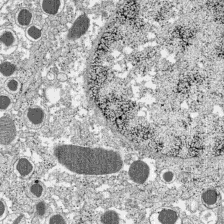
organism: C57BL Mouse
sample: Pancreatic islet